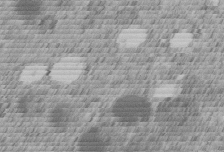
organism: C. elegans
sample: C. elegans embryo early stage